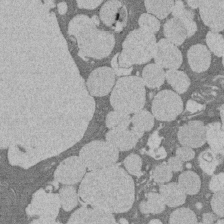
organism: Rat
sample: Salivary granule